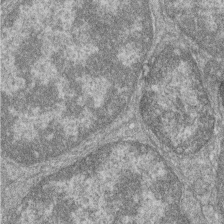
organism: Zebrafish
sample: Cilia; retinal pigment epithelium